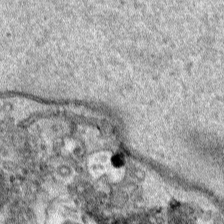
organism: Human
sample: Mitochondria in HCT116 cells